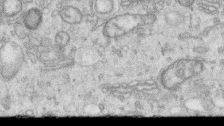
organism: Human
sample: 1205lu cells